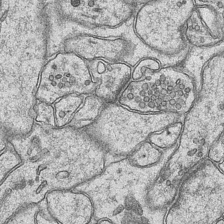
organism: Mouse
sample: CA1 Hippocampus